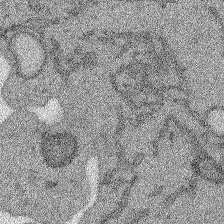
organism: Human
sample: HeLa cells